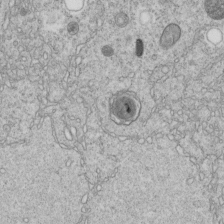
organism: C. elegans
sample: C. elegans embryo early stage